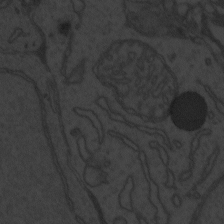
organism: Zebrafish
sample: Macrophage infected with Toxoplasma gondii